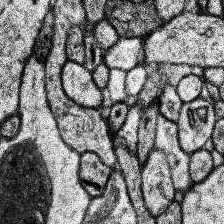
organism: Human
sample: Temporal Lobe